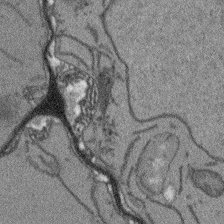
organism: Arabidopsis thaliana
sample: Root tip